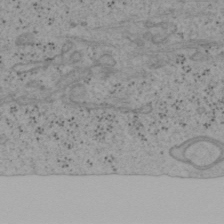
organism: Human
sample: HeLa cells